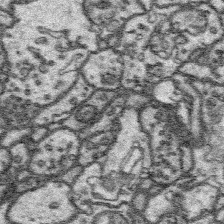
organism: Platynereis dumerilii